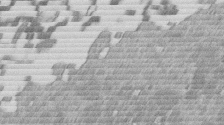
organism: Mouse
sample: Dividing mouse embryo 1 cell stage